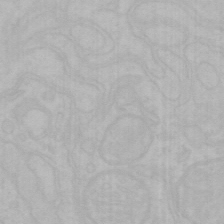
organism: Mouse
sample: Choroid plexus